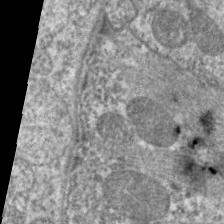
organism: C. elegans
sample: Pharynx